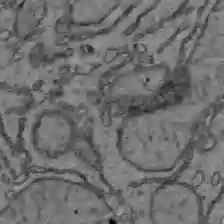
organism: C57BL Mouse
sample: Liver